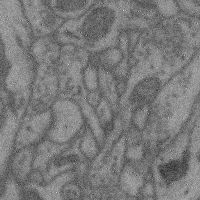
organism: Mouse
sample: Cerebral cortex